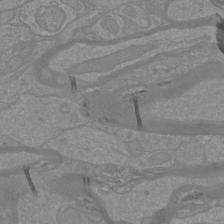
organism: Mouse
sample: Cortical neurons